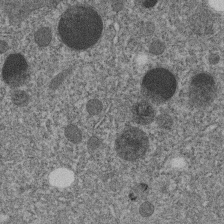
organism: C. elegans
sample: C. elegans embryo early stage